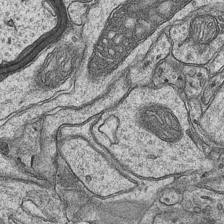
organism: Mouse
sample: CA1 Hippocampus